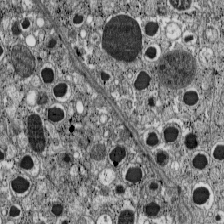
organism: C57BL Mouse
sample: Pancreatic islet